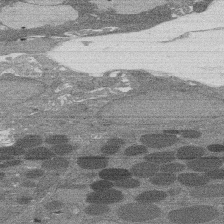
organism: Rat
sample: Salivary granule